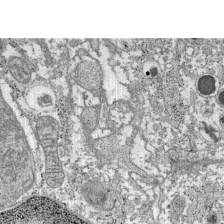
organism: C57BL Mouse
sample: Pancreatic islet